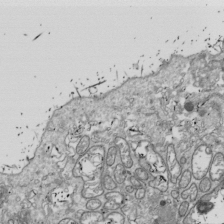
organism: Drosophila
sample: Cell division; meiosis; drosophila spermatocytes